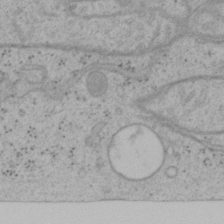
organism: Human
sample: HeLa cells